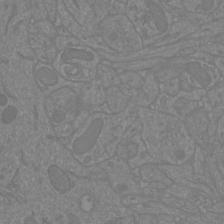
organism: Mouse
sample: Cortical neurons